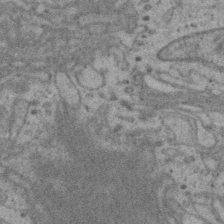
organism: Human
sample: HeLa cells